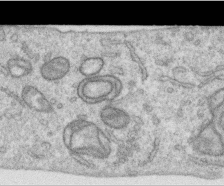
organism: Human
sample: Centriole in RPE cells